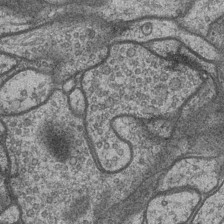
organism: Drosophila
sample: Optic medulla